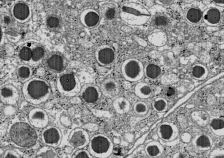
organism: C57BL Mouse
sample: Pancreatic islet